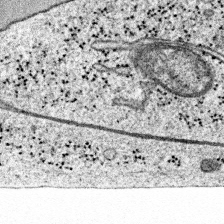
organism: Human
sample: HeLa cells